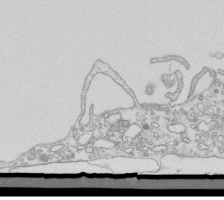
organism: Mouse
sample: Macrophages